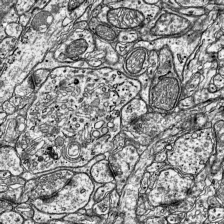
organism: Mouse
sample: Visual Cortex